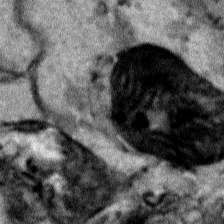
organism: Human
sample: Mitochondria in HCT116 cells